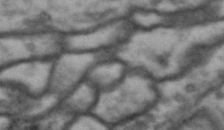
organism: Drosophila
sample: Brain